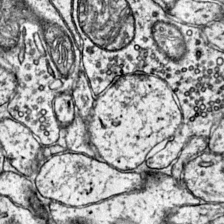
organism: Mouse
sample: Primary visual cortex